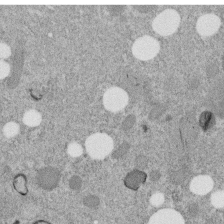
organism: C. elegans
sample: C. elegans embryo early stage